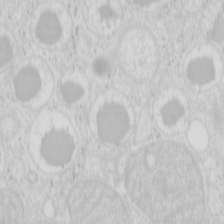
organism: Mouse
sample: Pancreas